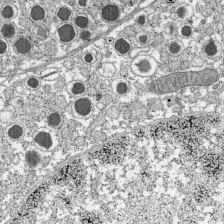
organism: C57BL Mouse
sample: Pancreatic islet